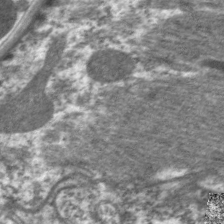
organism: C. elegans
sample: Pharynx